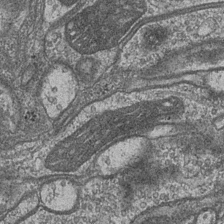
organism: Drosophila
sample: Optic medulla